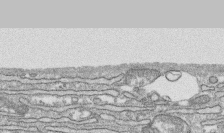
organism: Human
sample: CRL-1474